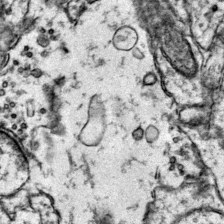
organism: Mouse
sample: Primary visual cortex